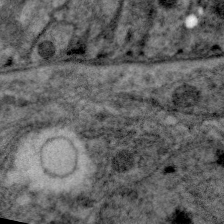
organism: C. elegans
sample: Pharynx